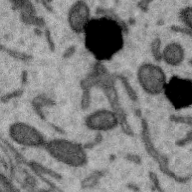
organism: Zebra finch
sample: Brain